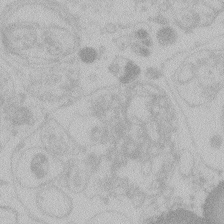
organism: Zebrafish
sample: Macrophage infected with Toxoplasma gondii